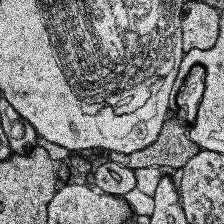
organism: Human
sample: Temporal Lobe